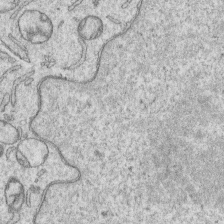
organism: Human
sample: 1205lu cells